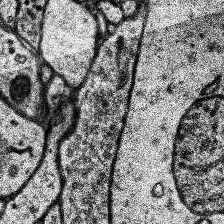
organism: Human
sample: Temporal Lobe